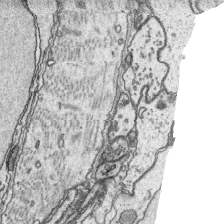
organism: Platynereis dumerilii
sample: Parapodia